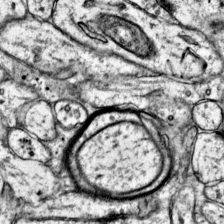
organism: Mouse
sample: Primary visual cortex